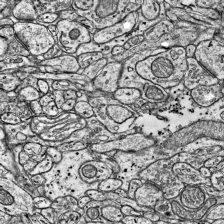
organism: Mouse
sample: Visual Cortex